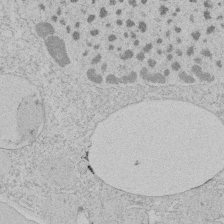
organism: Tetrahymena